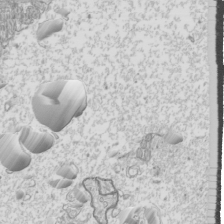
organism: Mouse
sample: Cilia; mouse epididymis